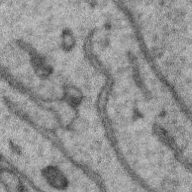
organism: Zebra finch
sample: Brain